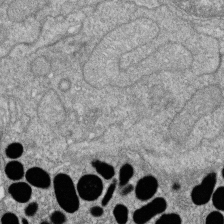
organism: Zebrafish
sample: Cilia; retinal pigment epithelium